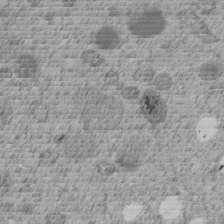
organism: C. elegans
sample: C. elegans embryo early stage